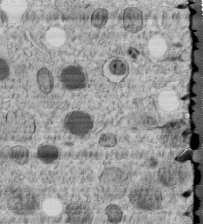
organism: C. elegans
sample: C. elegans embryo early stage